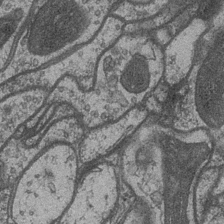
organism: Drosophila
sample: Optic medulla